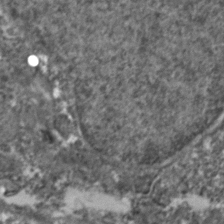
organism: Zebrafish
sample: Zebrafish embryo